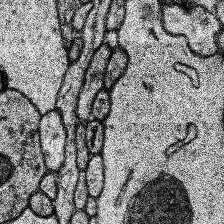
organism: Human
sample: Temporal Lobe